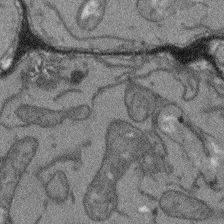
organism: Arabidopsis thaliana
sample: Root tip